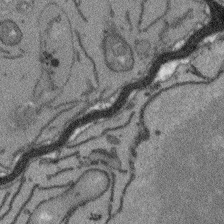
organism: Arabidopsis thaliana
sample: Root tip